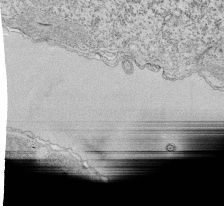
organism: Tetrahymena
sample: Cilia in tetrahymena